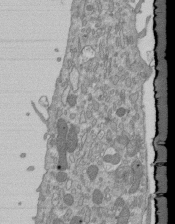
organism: Mouse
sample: ED-1 cell nuclei; centrioles